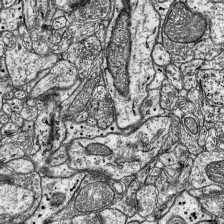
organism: Mouse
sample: Visual Cortex